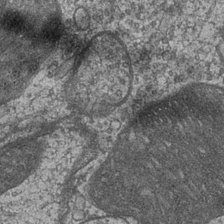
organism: Drosophila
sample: Optic medulla